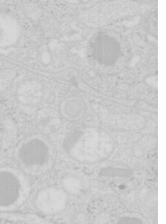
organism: Mouse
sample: Pancreas